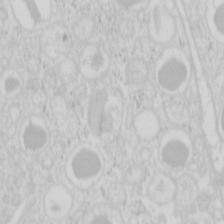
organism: Mouse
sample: Pancreas